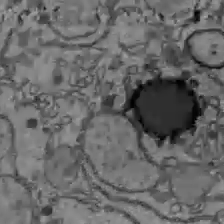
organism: C57BL Mouse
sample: Liver